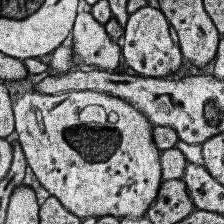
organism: Human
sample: Temporal Lobe